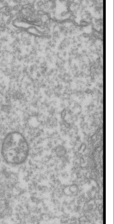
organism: Drosophila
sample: Cell division; meiosis; drosophila spermatocytes